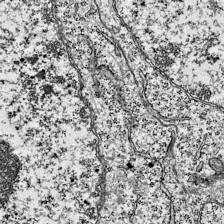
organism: Mouse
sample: Visual Cortex